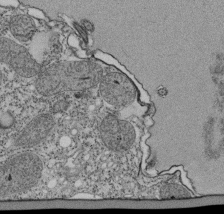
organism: Tetrahymena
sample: Cilia in tetrahymena